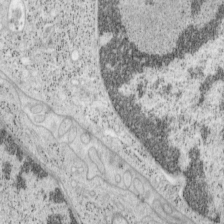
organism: Mouse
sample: OT-I killer T cells with ID8 ovarian cancer cells